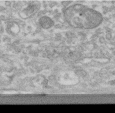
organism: Human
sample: Centriole in RPE cells